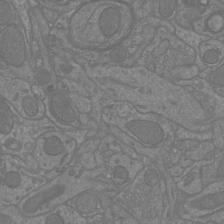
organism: Mouse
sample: Cortical neurons